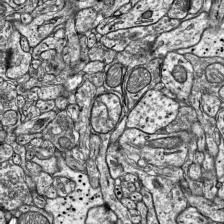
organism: Mouse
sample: Visual Cortex